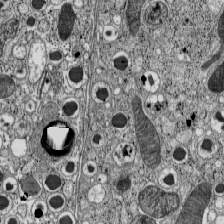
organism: C57BL Mouse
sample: Pancreatic islet